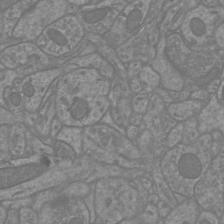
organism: Mouse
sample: Cortical neurons